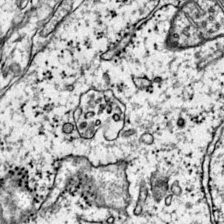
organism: Mouse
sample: Primary visual cortex